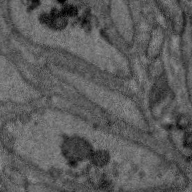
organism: Zebra finch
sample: Brain